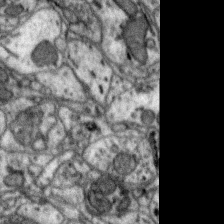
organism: Zebra finch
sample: Brain